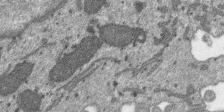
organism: Human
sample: Lung epithelial cells infected with SARS-CoV-2